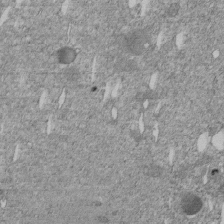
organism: C. elegans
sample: C. elegans embryo early stage